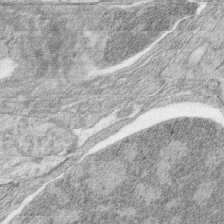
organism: Zebrafish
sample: synaptic ribbons in rod cells and cone cells